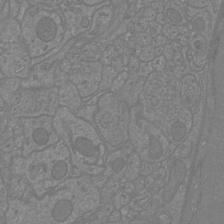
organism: Mouse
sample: Cortical neurons